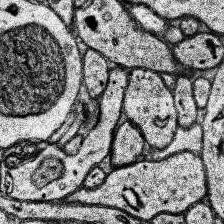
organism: Human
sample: Temporal Lobe